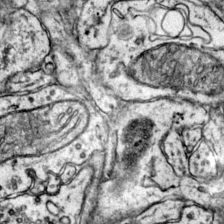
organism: Mouse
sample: Primary visual cortex